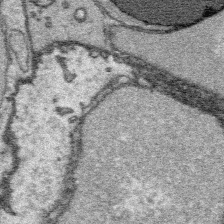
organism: Platynereis dumerilii